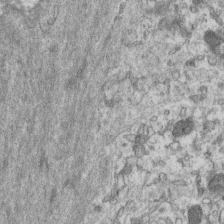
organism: Mouse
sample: Centriole in ependymal cells